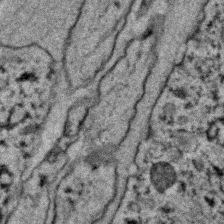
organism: C. elegans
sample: C. elegans embryo